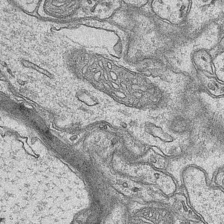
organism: Mouse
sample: CA1 Hippocampus